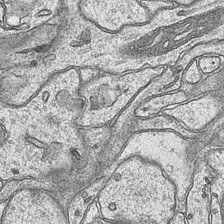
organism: Mouse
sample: CA1 Hippocampus